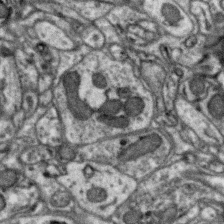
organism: Zebra finch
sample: Brain